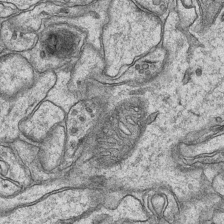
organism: Mouse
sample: CA1 Hippocampus